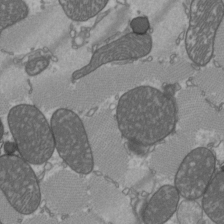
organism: C57BL Mouse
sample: Heart